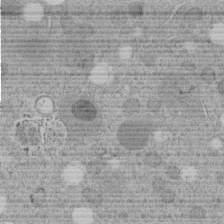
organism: C. elegans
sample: C. elegans embryo early stage